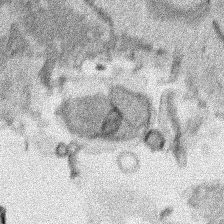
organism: Human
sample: Mitochondria in HCT116 cells